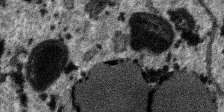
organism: Human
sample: Lung epithelial cells infected with SARS-CoV-2